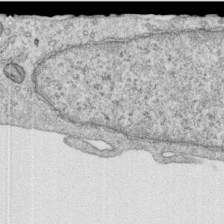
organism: Human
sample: Centriole in RPE cells